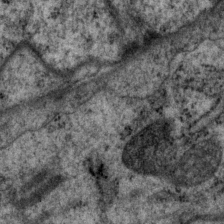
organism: P. pacificus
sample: Pharynx